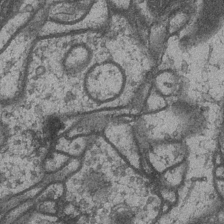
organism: Drosophila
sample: Optic medulla